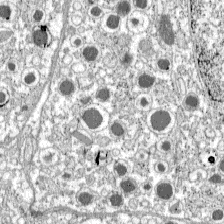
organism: C57BL Mouse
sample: Pancreatic islet